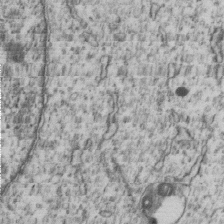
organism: Human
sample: MDA-MB-231 cells